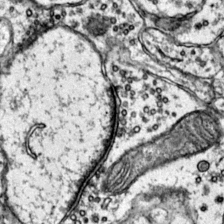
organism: Mouse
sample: Primary visual cortex